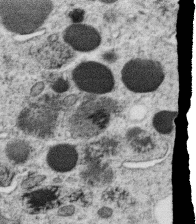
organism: C. elegans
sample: C. elegans oocyte; sperm cells